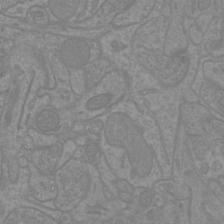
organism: Mouse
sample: Cortical neurons